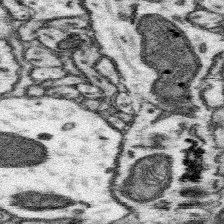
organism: Mouse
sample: Somatosensory cortex neuropil